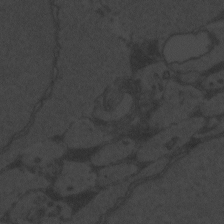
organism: Zebrafish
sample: Macrophage infected with Toxoplasma gondii